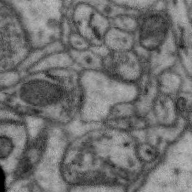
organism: Zebra finch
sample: Brain